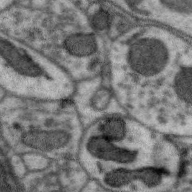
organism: Zebra finch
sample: Brain